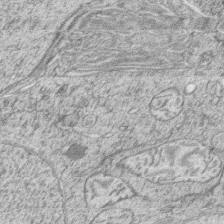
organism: Zebrafish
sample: synaptic ribbons in rod cells and cone cells